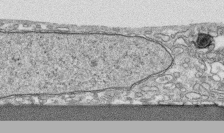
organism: Human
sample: CRL-1474